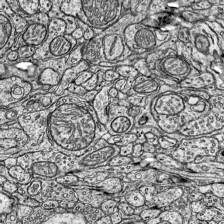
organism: Mouse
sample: Visual Cortex